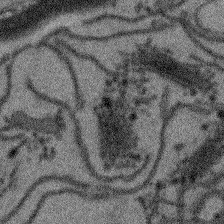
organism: Arabidopsis thaliana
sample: Root tip